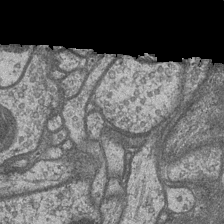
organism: Drosophila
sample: Optic medulla